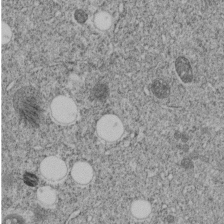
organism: C. elegans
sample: C. elegans embryo early stage